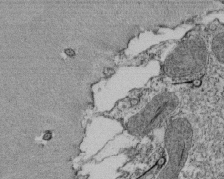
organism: Tetrahymena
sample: Cilia in tetrahymena